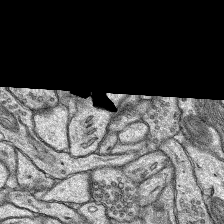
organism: Rat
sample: Hippocampus